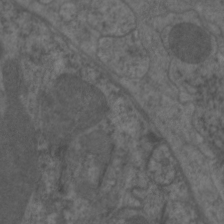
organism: C. elegans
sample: Pharynx